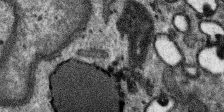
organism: Human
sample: Lung epithelial cells infected with SARS-CoV-2